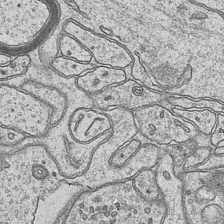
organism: Mouse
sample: CA1 Hippocampus